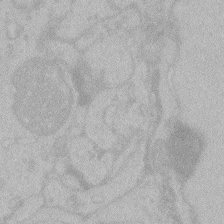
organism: Zebrafish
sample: Macrophage infected with Toxoplasma gondii